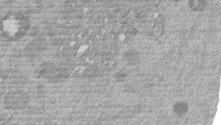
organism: Mouse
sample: Dividing mouse embryo 1 cell stage